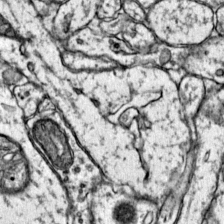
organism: Mouse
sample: Primary visual cortex